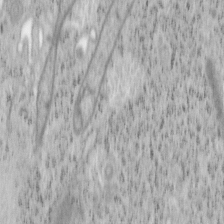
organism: Human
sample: HeLa cells